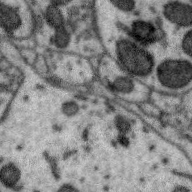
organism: Zebra finch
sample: Brain